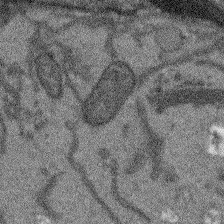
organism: Arabidopsis thaliana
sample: Root tip